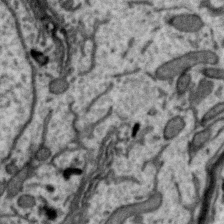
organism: Zebra finch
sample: Brain